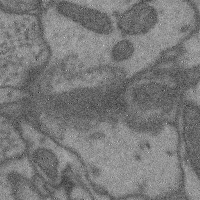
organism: Mouse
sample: Cerebral cortex